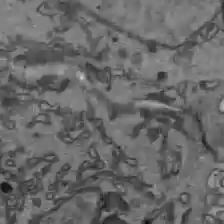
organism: C57BL Mouse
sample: Liver